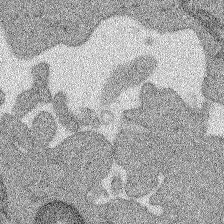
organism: Human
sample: HeLa cells